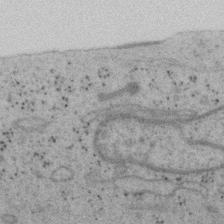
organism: Human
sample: HeLa cells